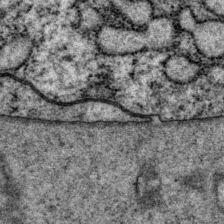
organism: P. pacificus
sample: Pharynx